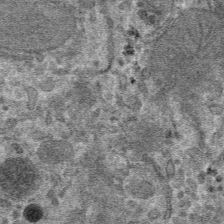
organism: Mouse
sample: Mouse hepatocytes